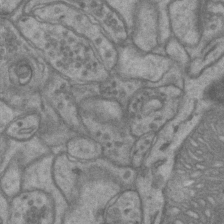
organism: Mouse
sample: CA1 Hippocampus